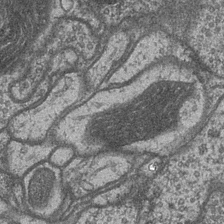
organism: Drosophila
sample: Optic medulla